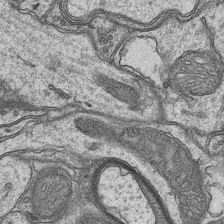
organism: Mouse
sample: CA1 Hippocampus